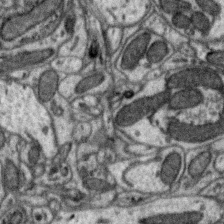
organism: Zebra finch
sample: Brain